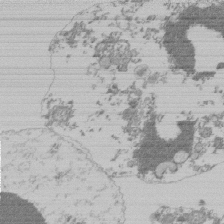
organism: Mouse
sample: Activated Pmel transgenic CD8+ T Cells